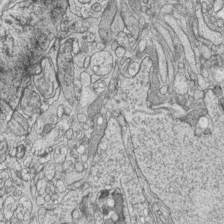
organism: Zebrafish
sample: synaptic ribbons in rod cells and cone cells